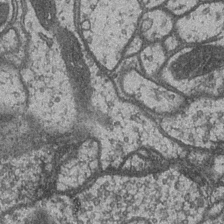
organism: Drosophila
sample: Optic medulla